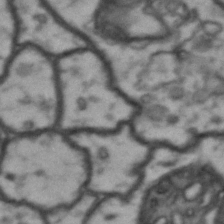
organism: Drosophila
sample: Brain